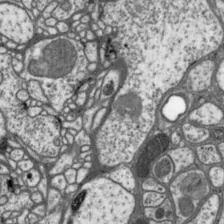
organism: Drosophila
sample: Protocerebral bridge